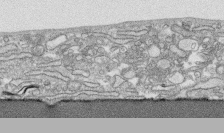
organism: Human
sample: CRL-1474